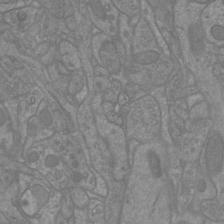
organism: Mouse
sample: Cortical neurons